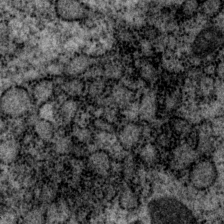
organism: P. pacificus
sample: Pharynx